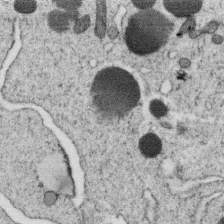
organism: C. elegans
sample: C. elegans oocyte; sperm cells